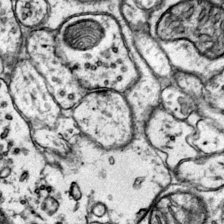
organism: Mouse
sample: Primary visual cortex